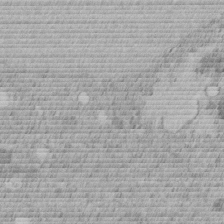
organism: C. elegans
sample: C. elegans embryo early stage